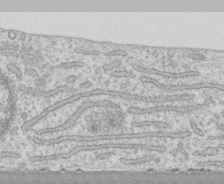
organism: Human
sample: CRL-1474